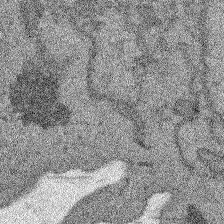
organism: Human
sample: HeLa cells